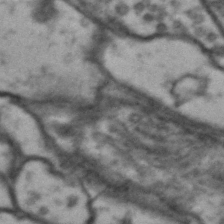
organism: Drosophila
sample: Brain